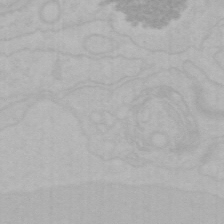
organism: Mouse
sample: Choroid plexus